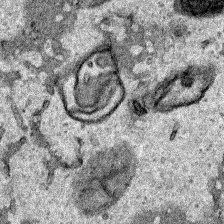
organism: Human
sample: Mitochondria in HCT116 cells